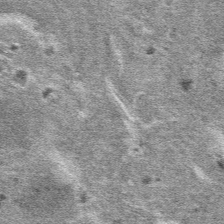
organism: Mouse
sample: Mouse hepatocytes